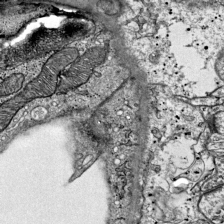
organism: Mouse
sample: Visual Cortex